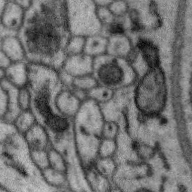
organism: Zebra finch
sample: Brain